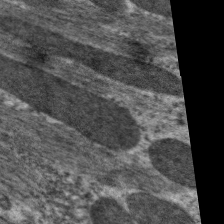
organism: C. elegans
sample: Pharynx